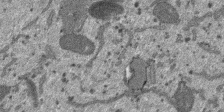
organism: Human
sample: Lung epithelial cells infected with SARS-CoV-2